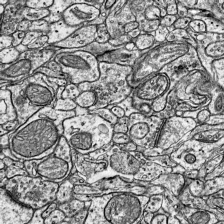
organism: Mouse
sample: Visual Cortex